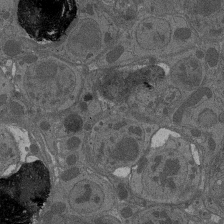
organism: Drosophila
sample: Antenna